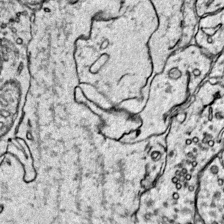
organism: Mouse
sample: Primary visual cortex